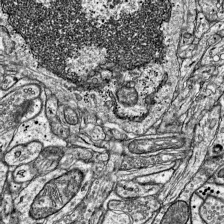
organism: Mouse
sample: Visual Cortex